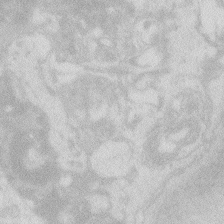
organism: Zebrafish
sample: Macrophage